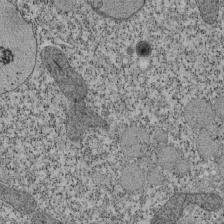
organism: Tetrahymena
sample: Cilia in tetrahymena